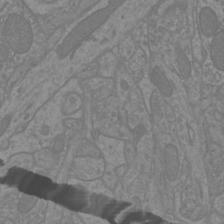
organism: Mouse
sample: Cortical neurons